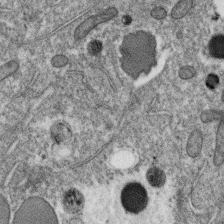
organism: C. elegans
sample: C. elegans oocyte; sperm cells